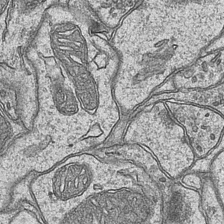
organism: Mouse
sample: CA1 Hippocampus